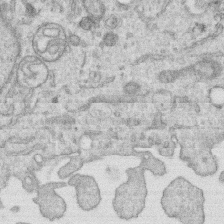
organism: Human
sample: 1205lu cells